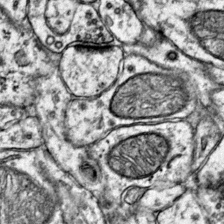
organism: Mouse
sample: Primary visual cortex